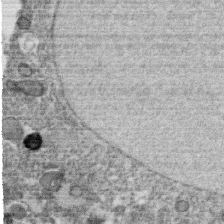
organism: C. elegans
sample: C. elegans oocyte; sperm cells